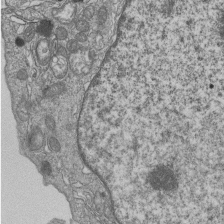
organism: Human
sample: MDA-MB-231 cells